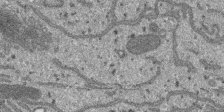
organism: Human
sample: Lung epithelial cells infected with SARS-CoV-2